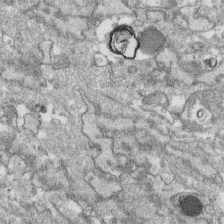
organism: Human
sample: CRL-1474